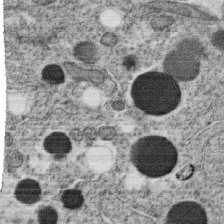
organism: C. elegans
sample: C. elegans oocyte; sperm cells